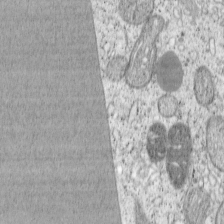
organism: African green monkey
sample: COS-7 cells